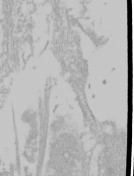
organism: Mouse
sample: Cancer cell death in ED-1 cells